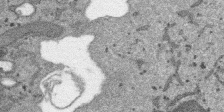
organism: Human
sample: Lung epithelial cells infected with SARS-CoV-2